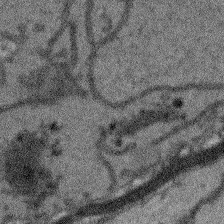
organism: Arabidopsis thaliana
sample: Root tip